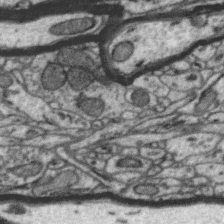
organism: Zebra finch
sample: Brain